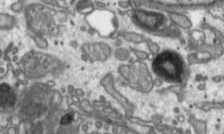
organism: Toxoplasma gondii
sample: Parasites in a vacuole inside a host cell